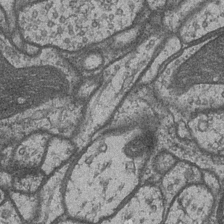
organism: Drosophila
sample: Optic medulla